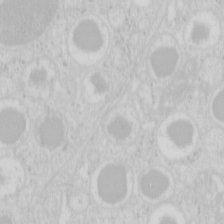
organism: Mouse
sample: Pancreas